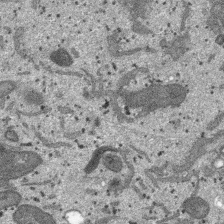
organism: Human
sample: Lung epithelial cells infected with SARS-CoV-2